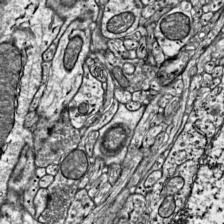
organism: Mouse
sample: Visual Cortex